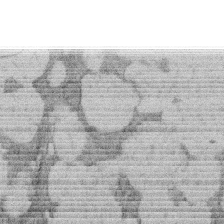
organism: Rat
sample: Salivary granule